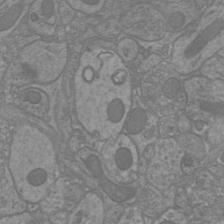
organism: Mouse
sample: Cortical neurons